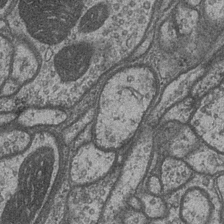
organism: Drosophila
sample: Optic medulla